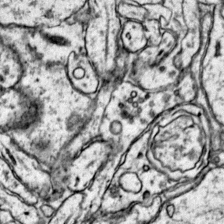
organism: Mouse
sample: Primary visual cortex